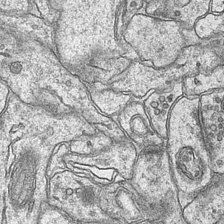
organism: Mouse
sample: CA1 Hippocampus